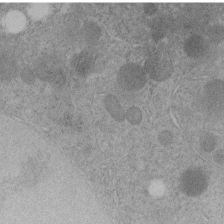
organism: C. elegans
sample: C. elegans embryo early stage